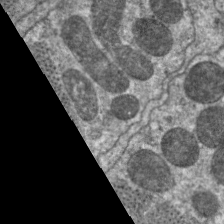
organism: C. elegans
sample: Pharynx